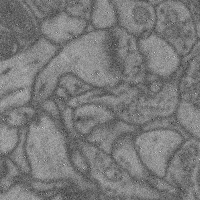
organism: Mouse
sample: Cerebral cortex